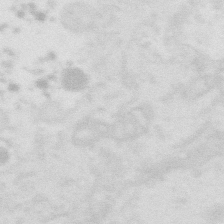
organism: Human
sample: HeLa cells